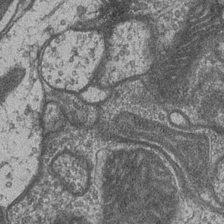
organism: Drosophila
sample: Optic medulla